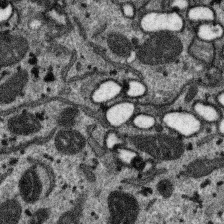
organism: Human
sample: Lung epithelial cells infected with SARS-CoV-2